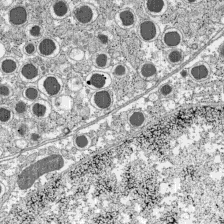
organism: C57BL Mouse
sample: Pancreatic islet